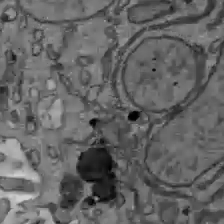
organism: C57BL Mouse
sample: Liver